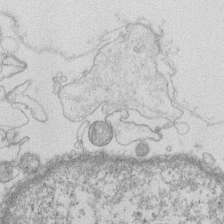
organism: Human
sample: Macrophage cells